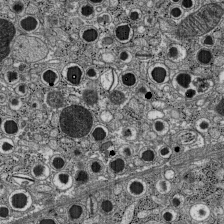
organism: C57BL Mouse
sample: Pancreatic islet